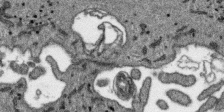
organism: Human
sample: Lung epithelial cells, uninfected (mock) control